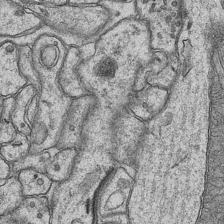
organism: Mouse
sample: CA1 Hippocampus